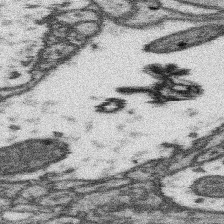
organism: Mouse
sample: Somatosensory cortex neuropil